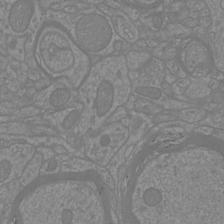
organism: Mouse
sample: Cortical neurons